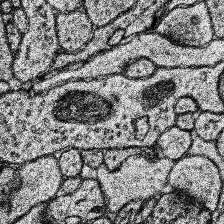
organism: Human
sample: Temporal Lobe